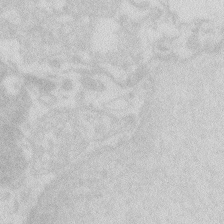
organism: Zebrafish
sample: Macrophage